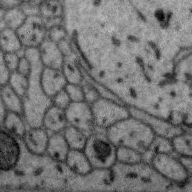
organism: Zebra finch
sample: Brain